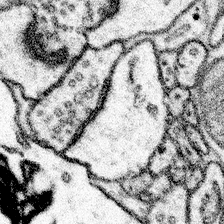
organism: Mouse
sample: Somatosensory cortex neuropil